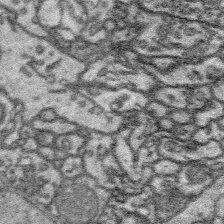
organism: Platynereis dumerilii